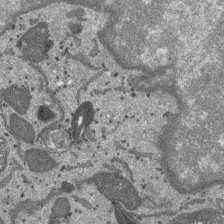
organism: Human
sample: Lung epithelial cells infected with SARS-CoV-2